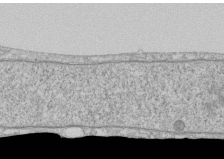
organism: Human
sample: CRL-1474